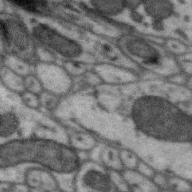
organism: Zebra finch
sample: Brain